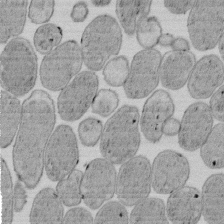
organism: E. coli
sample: Bacterial nucleoid